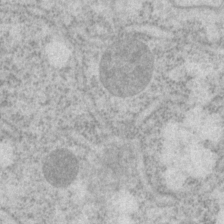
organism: P. pacificus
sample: Pharynx